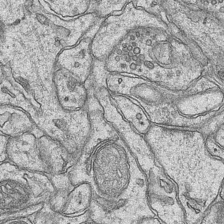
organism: Mouse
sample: CA1 Hippocampus